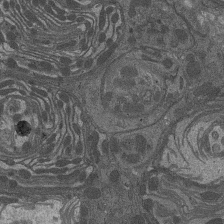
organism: Drosophila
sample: Antenna